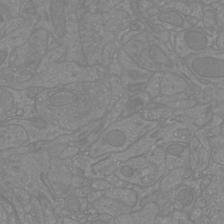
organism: Mouse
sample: Cortical neurons